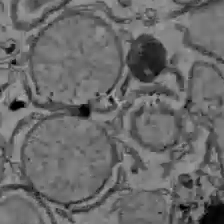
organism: C57BL Mouse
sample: Liver